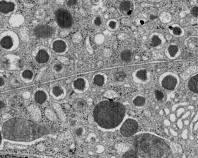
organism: C57BL Mouse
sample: Pancreatic islet